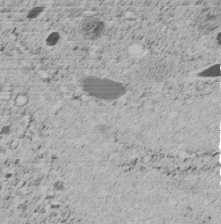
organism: C. elegans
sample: C. elegans embryo early stage